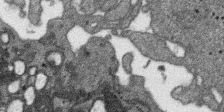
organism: Human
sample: Lung epithelial cells infected with SARS-CoV-2